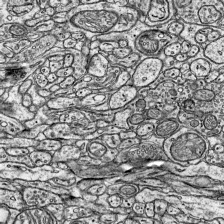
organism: Mouse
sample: Visual Cortex